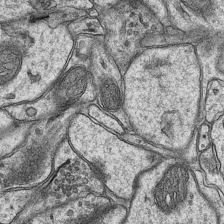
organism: Mouse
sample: CA1 Hippocampus